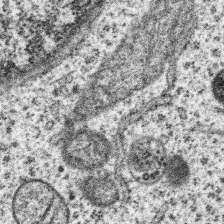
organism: Human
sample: HeLa cells